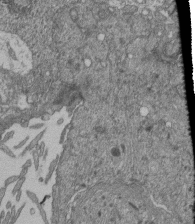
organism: Human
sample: Retinal organoid Rod and Cone cells